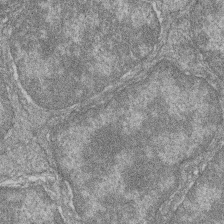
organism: Zebrafish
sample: Cilia; retinal pigment epithelium